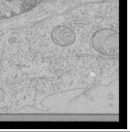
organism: Human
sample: Mitochondria in HCT116 cells